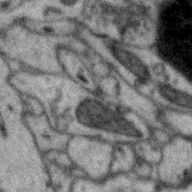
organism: Zebra finch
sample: Brain